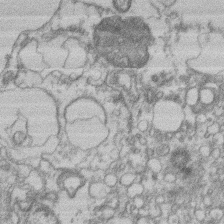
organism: Mouse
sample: T cell stromal cell synapse